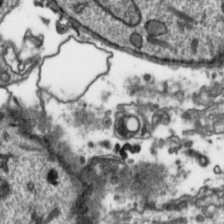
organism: Toxoplasma gondii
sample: Parasites in a vacuole inside a host cell